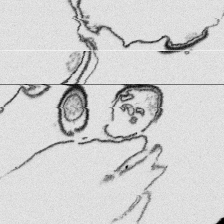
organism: Platynereis dumerilii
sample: Parapodia